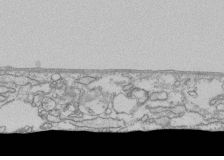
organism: Human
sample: Fibroblast cells